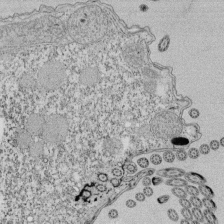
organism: Tetrahymena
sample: Cilia in tetrahymena